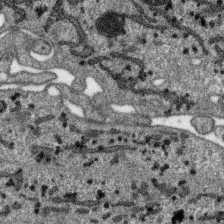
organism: Human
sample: Lung epithelial cells infected with SARS-CoV-2